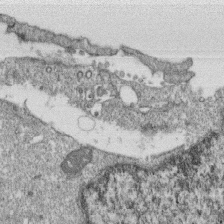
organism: African green monkey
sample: Vero E6 cells infected with SARS-CoV-2